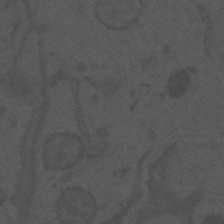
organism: Mouse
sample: Suprachiasmatic nucleus